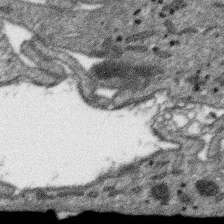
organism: Human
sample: Lung epithelial cells infected with SARS-CoV-2